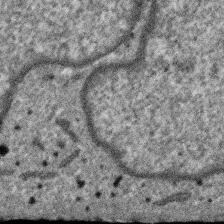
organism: Human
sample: Lung epithelial cells infected with SARS-CoV-2